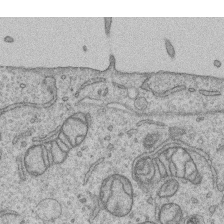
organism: Human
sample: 1205lu cells